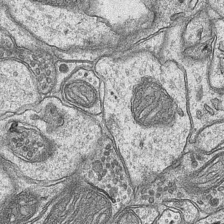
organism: Mouse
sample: CA1 Hippocampus